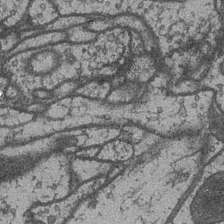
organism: Drosophila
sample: Optic medulla